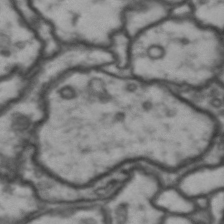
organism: Drosophila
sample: Brain